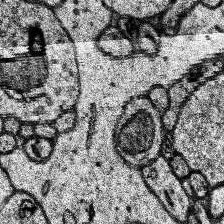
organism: Human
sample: Temporal Lobe